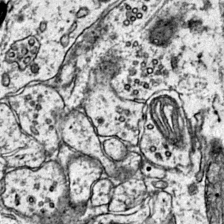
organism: Mouse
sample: Primary visual cortex